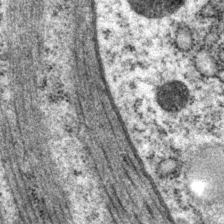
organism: P. pacificus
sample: Pharynx